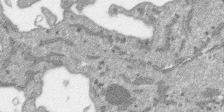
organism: Human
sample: Lung epithelial cells infected with SARS-CoV-2